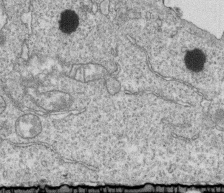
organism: Human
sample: HeLa cell HIV synapse